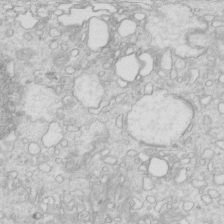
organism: Mouse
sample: Multiciliated cells